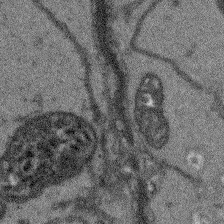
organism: Arabidopsis thaliana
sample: Root tip